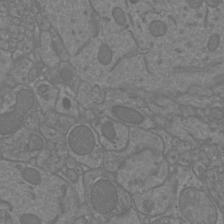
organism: Mouse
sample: Cortical neurons